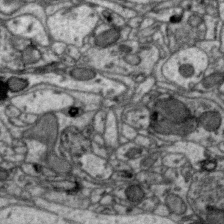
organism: Zebra finch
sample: Brain